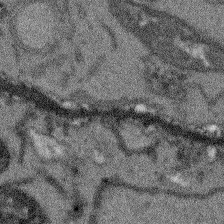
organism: Arabidopsis thaliana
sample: Root tip